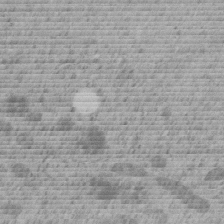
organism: C. elegans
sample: C. elegans embryo early stage